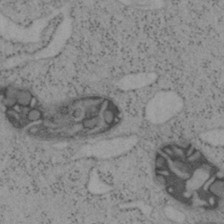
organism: Mouse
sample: OT-I killer T cells with ID8 ovarian cancer cells